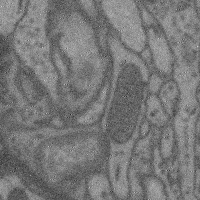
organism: Mouse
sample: Cerebral cortex